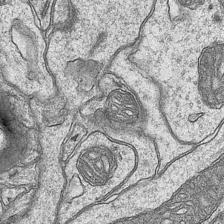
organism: Mouse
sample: CA1 Hippocampus